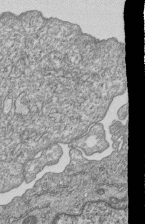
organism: Human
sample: MDA-MB-231 cells